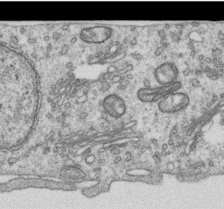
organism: Human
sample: Centriole in RPE cells